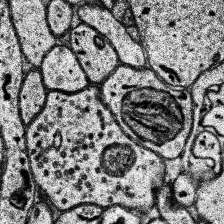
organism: Human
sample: Temporal Lobe